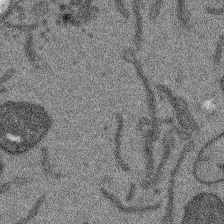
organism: Arabidopsis thaliana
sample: Root tip